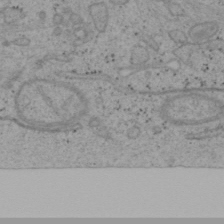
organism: Human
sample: HeLa cells